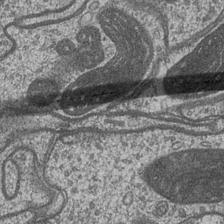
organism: Drosophila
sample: Optic medulla